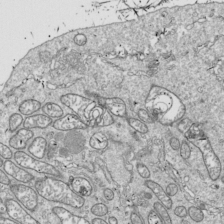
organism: Drosophila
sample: Cell division; meiosis; drosophila spermatocytes